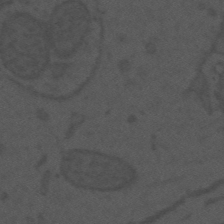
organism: Mouse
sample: Suprachiasmatic nucleus